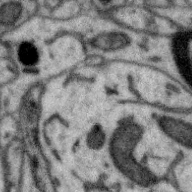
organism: Zebra finch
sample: Brain